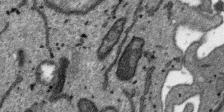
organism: Human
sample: Lung epithelial cells, uninfected (mock) control